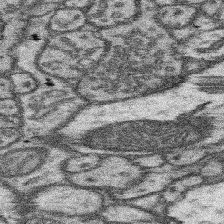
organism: Mouse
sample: Somatosensory cortex neuropil